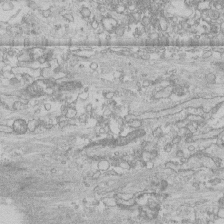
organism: Human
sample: CRL-1474